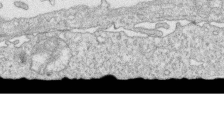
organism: Human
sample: HeLa cell HIV synapse